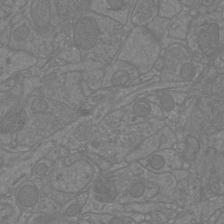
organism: Mouse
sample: Cortical neurons